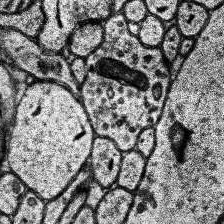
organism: Human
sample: Temporal Lobe